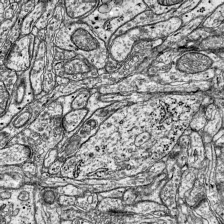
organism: Mouse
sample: Visual Cortex